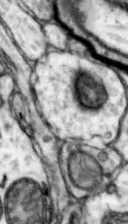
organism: Mouse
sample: Nucleus accumbens